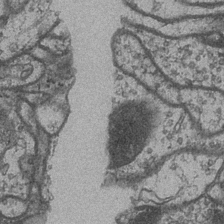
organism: Drosophila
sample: Optic medulla